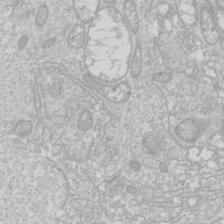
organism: Drosophila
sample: Cell division; meiosis; drosophila spermatocytes